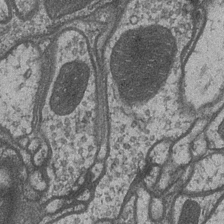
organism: Drosophila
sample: Optic medulla